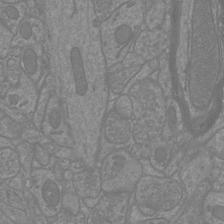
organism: Mouse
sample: Cortical neurons